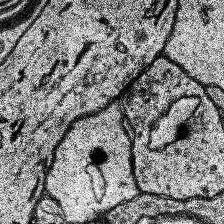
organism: Human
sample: Temporal Lobe